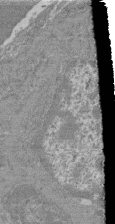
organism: Mouse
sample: Glomerulus